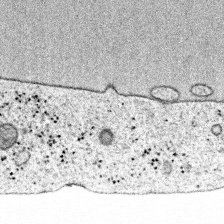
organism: Human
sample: HeLa cells